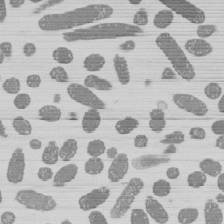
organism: E. coli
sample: Bacterial nucleoid